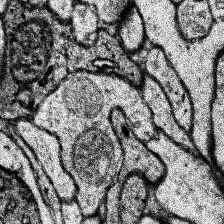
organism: Human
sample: Temporal Lobe